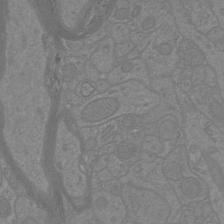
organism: Mouse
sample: Cortical neurons